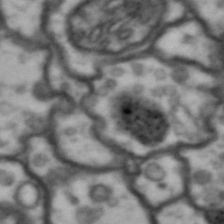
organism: Drosophila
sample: Brain